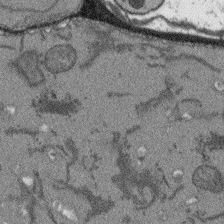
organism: Arabidopsis thaliana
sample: Root tip